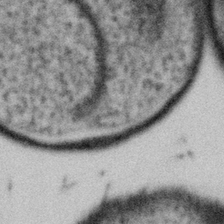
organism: Gemmata obscuriglobus